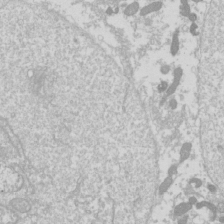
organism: Drosophila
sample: Cell division; meiosis; drosophila spermatocytes